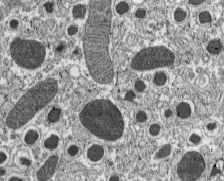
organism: C57BL Mouse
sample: Pancreatic islet